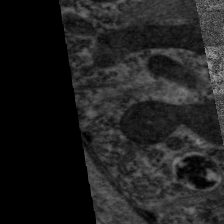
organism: C. elegans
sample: Pharynx